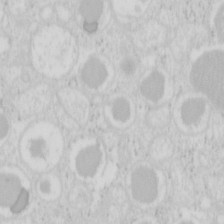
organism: Mouse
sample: Pancreas